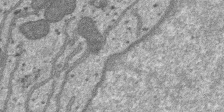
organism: Human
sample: Lung epithelial cells infected with SARS-CoV-2